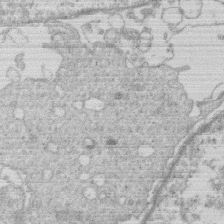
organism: Human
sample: Macrophage cells